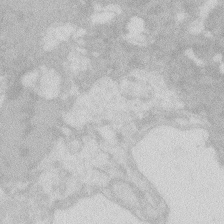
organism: Zebrafish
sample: Macrophage